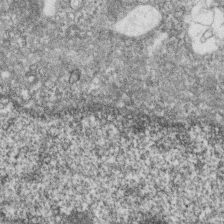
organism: Zebrafish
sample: Cilia; retinal pigment epithelium